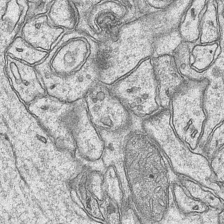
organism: Mouse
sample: CA1 Hippocampus